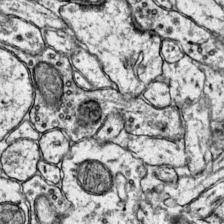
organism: Mouse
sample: Primary visual cortex